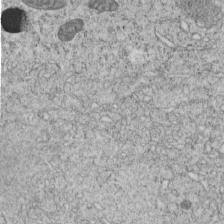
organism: C. elegans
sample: C. elegans embryo early stage